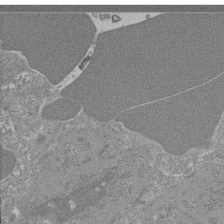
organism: Mouse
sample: Glomerulus